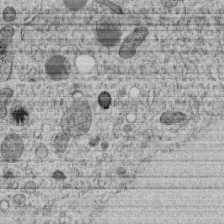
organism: C. elegans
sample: C. elegans embryo early stage